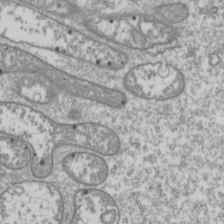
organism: Drosophila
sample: Cell division; meiosis; drosophila spermatocytes